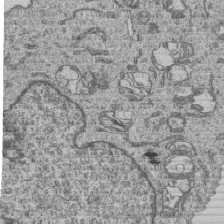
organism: Human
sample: MDA-MB-231 cells